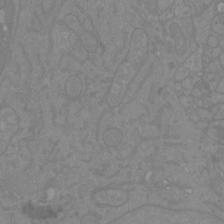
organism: Mouse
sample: Cortical neurons